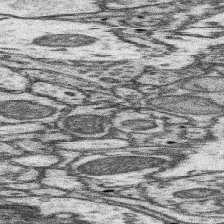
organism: Mouse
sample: Somatosensory cortex neuropil